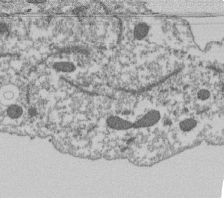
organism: Dictyostelium discoideum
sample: Dictyostelium multivesicular bodies